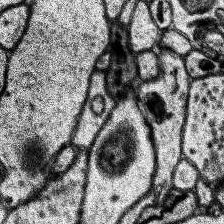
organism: Human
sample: Temporal Lobe